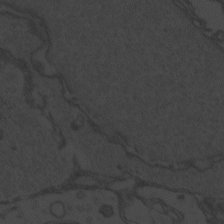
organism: Zebrafish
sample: Macrophage infected with Toxoplasma gondii